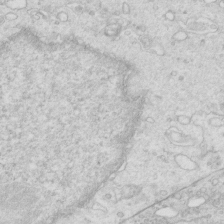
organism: Mouse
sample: Multiciliated cells